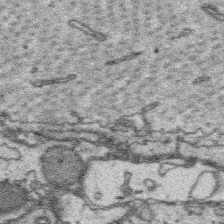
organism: Platynereis dumerilii